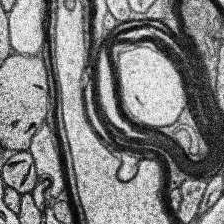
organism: Human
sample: Temporal Lobe